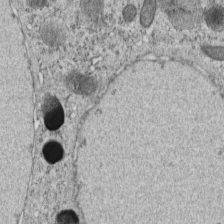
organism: C. elegans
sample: C. elegans embryo early stage